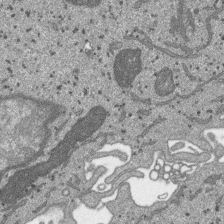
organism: Human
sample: Lung epithelial cells infected with SARS-CoV-2